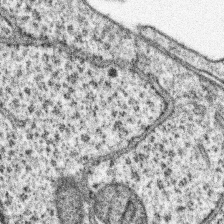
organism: Human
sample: HeLa cells